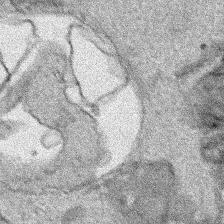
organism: Human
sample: Mitochondria in HCT116 cells